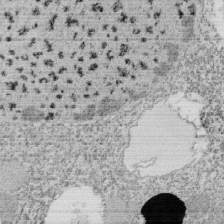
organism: Tetrahymena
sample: Cilia in tetrahymena